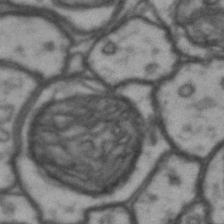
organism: Drosophila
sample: Brain